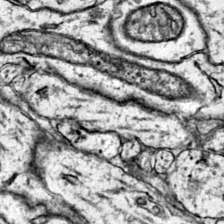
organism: Mouse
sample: Primary visual cortex